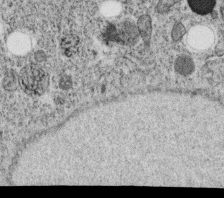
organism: C. elegans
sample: C. elegans oocyte; sperm cells